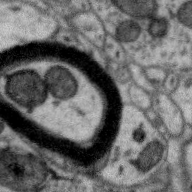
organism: Zebra finch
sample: Brain